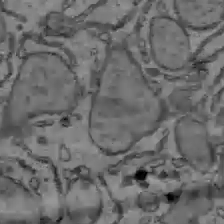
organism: C57BL Mouse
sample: Liver